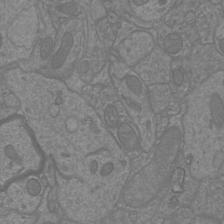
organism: Mouse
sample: Cortical neurons